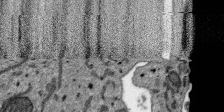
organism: Human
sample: Lung epithelial cells, uninfected (mock) control